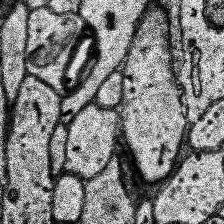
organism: Human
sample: Temporal Lobe